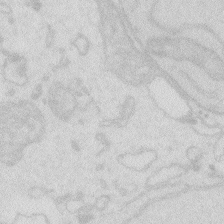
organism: Zebrafish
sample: Macrophage